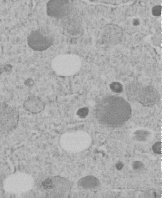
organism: C. elegans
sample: C. elegans embryo early stage